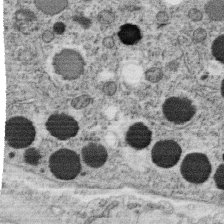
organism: C. elegans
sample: C. elegans oocyte; sperm cells